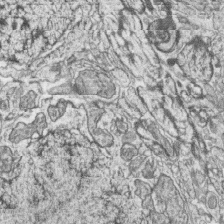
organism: Zebrafish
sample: synaptic ribbons in rod cells and cone cells